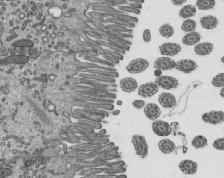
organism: Mouse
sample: Mouse epididymis efferent ductule cilia